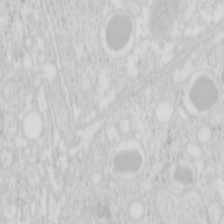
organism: Mouse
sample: Pancreas